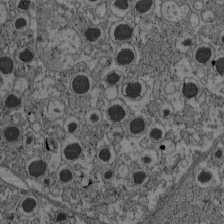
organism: C57BL Mouse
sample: Pancreatic islet